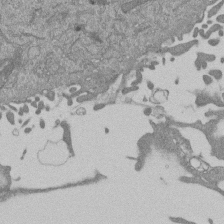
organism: Mouse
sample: ED-1 cell nuclei; centrioles